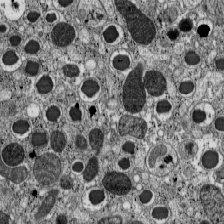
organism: C57BL Mouse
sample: Pancreatic islet